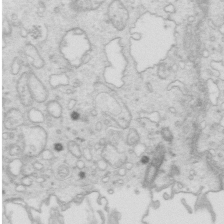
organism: Mouse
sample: Multiciliated cells